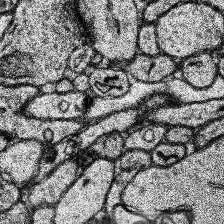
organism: Human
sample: Temporal Lobe